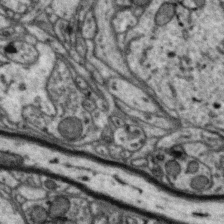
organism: Zebra finch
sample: Brain